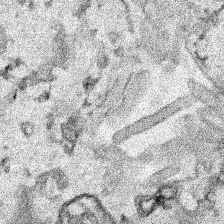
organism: Human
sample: Mitochondria in HCT116 cells